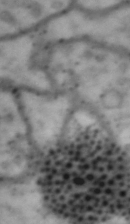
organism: Drosophila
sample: Brain